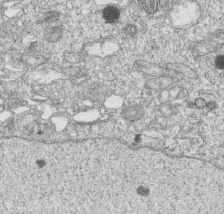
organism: Human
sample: HeLa cell HIV synapse